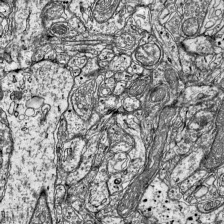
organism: Mouse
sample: Visual Cortex